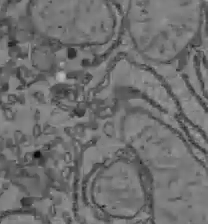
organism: C57BL Mouse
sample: Liver